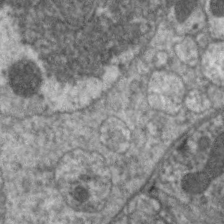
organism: C. elegans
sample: Pharynx